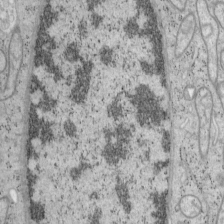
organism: Mouse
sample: OT-I killer T cells with ID8 ovarian cancer cells